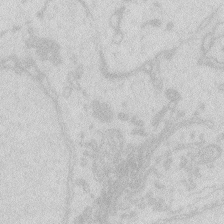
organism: Zebrafish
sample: Macrophage